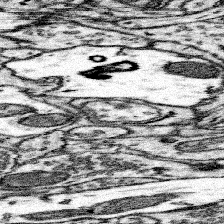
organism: Mouse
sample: Somatosensory cortex neuropil